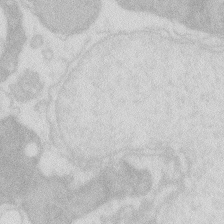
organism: Zebrafish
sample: Macrophage